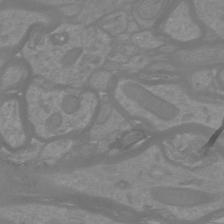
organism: Mouse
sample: Cortical neurons